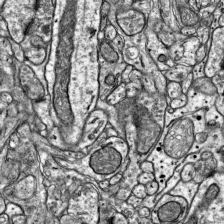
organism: Mouse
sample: Visual Cortex